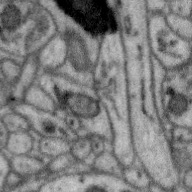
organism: Zebra finch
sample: Brain